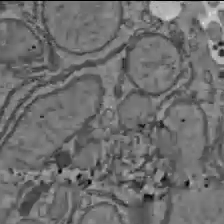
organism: C57BL Mouse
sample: Liver